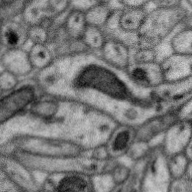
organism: Zebra finch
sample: Brain